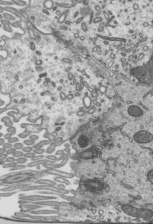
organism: Mouse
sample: Mouse epididymis efferent ductule cilia